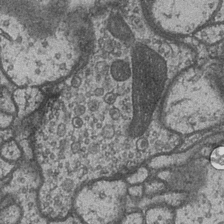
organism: Drosophila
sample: Optic medulla